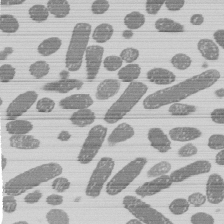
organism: E. coli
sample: Bacterial nucleoid